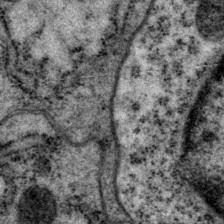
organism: P. pacificus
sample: Pharynx